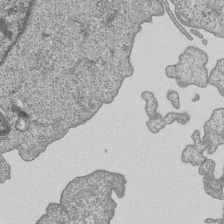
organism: Human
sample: MDA-MB-231 cells